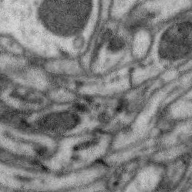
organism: Zebra finch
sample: Brain